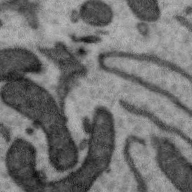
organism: Zebra finch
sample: Brain